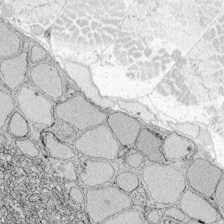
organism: Zebrafish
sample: Whole-Brain